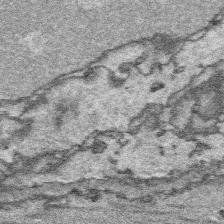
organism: Platynereis dumerilii